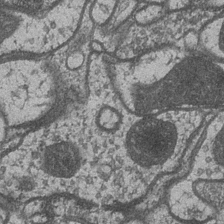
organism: Drosophila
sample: Optic medulla